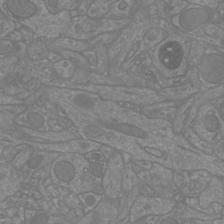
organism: Mouse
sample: Cortical neurons